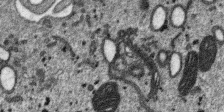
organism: Human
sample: Lung epithelial cells infected with SARS-CoV-2